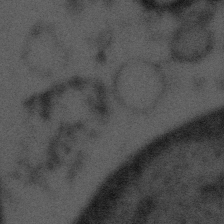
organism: Tuwongella immobilis